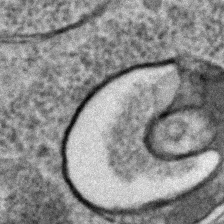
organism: C. elegans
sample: C. elegans embryo